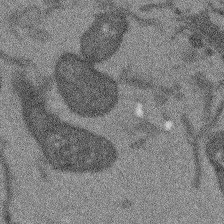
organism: Arabidopsis thaliana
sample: Root tip